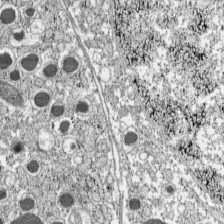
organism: C57BL Mouse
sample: Pancreatic islet